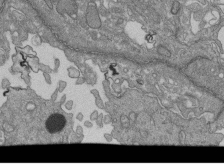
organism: Human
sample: Retinal organoid Rod and Cone cells